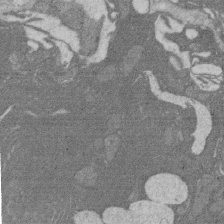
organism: Rat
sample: Salivary granule